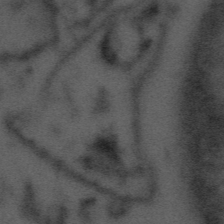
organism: Tuwongella immobilis